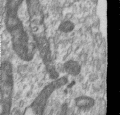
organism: Human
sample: Centriole in RPE cells